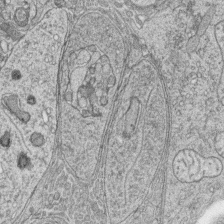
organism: Zebrafish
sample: synaptic ribbons in rod cells and cone cells